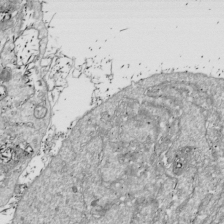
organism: Drosophila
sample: Cell division; meiosis; drosophila spermatocytes